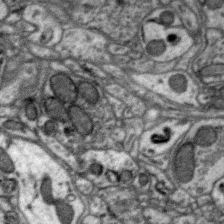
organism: Zebra finch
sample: Brain